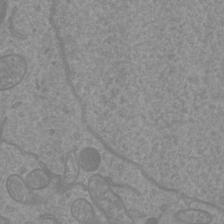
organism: Mouse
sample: Cortical neurons